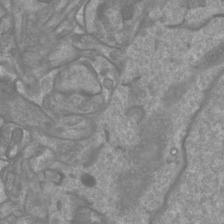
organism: Mouse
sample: Cortical neurons